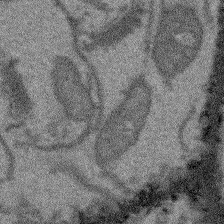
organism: Arabidopsis thaliana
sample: Root tip